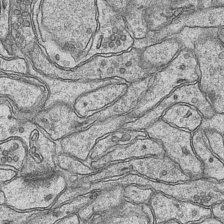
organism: Mouse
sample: CA1 Hippocampus